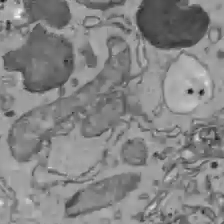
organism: C57BL Mouse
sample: Liver